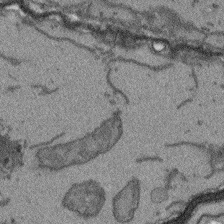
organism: Arabidopsis thaliana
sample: Root tip